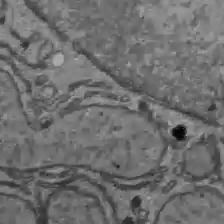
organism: C57BL Mouse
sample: Liver